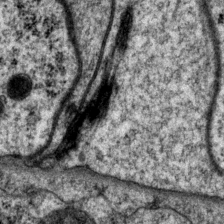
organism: P. pacificus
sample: Pharynx